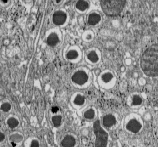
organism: C57BL Mouse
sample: Pancreatic islet